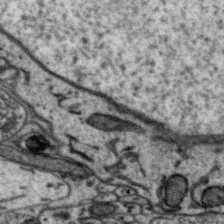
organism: Zebra finch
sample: Brain